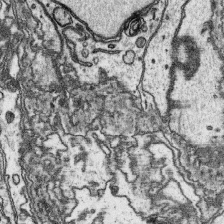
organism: Platynereis dumerilii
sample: Parapodia